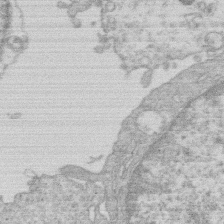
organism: Human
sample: Macrophage cells